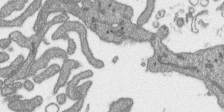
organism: Human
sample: Lung epithelial cells infected with SARS-CoV-2